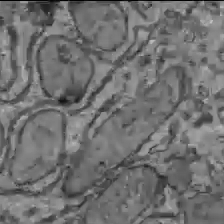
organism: C57BL Mouse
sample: Liver